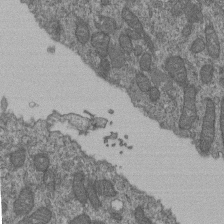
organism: Human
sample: Retinal organoid Rod and Cone cells